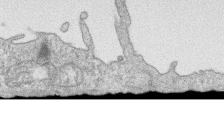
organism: Human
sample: HeLa cell HIV synapse